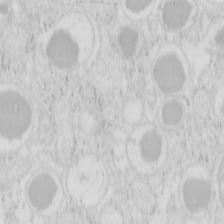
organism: Mouse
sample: Pancreas